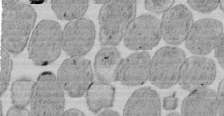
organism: E. coli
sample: Bacterial nucleoid